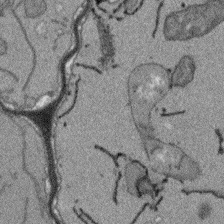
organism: Arabidopsis thaliana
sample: Root tip